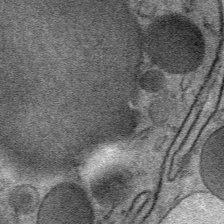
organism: Mouse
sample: Mouse Salivary gland